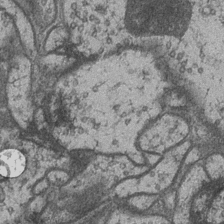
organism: Drosophila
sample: Optic medulla